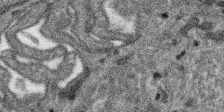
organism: Human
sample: Lung epithelial cells infected with SARS-CoV-2